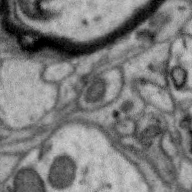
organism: Zebra finch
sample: Brain